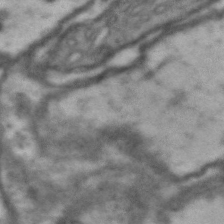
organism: Drosophila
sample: Brain